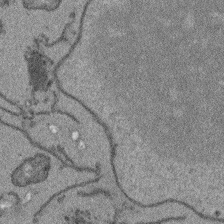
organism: Arabidopsis thaliana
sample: Root tip